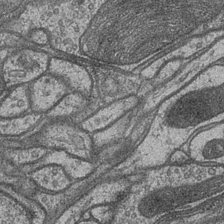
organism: Drosophila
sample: Optic medulla